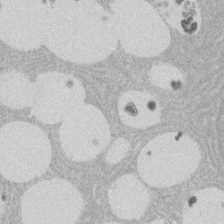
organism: Rat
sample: Salivary granule